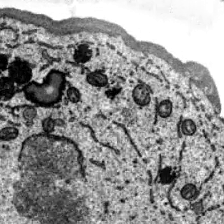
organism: Human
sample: HeLa cells